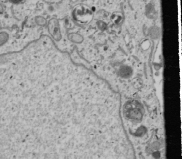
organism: Human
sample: Mitochondria in U2OS cells